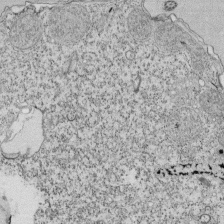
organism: Tetrahymena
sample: Cilia in tetrahymena